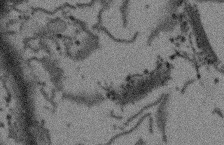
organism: Arabidopsis thaliana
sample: Root tip